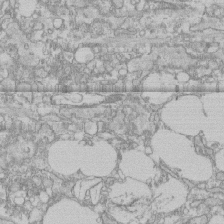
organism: Human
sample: CRL-1474